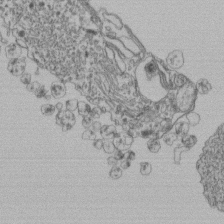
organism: Human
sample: Retinal organoid Rod and Cone cells